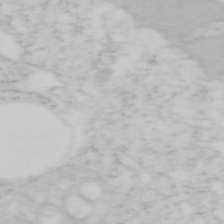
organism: Mouse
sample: OT-I killer T cells with ID8 ovarian cancer cells